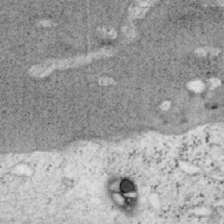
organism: Mouse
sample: OT-I killer T cells with ID8 ovarian cancer cells